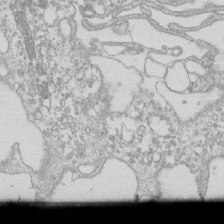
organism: Mouse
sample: Macrophages